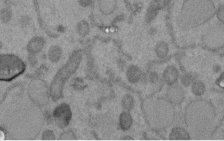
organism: C. elegans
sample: C. elegans embryo early stage